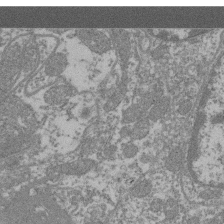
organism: Mouse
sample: Glomerulus